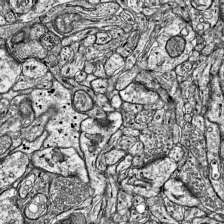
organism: Mouse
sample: Visual Cortex